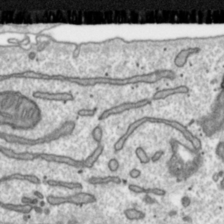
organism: Toxoplasma gondii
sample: Parasites in a vacuole inside a host cell